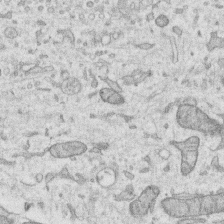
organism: Human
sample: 1205lu cells